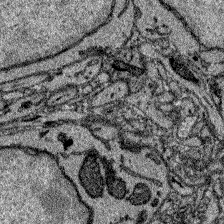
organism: Zebrafish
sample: Larval olfactory bulb